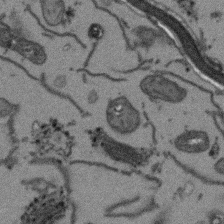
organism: Arabidopsis thaliana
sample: Root tip